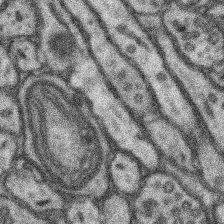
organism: Mouse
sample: Somatosensory cortex neuropil